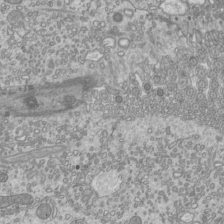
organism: Mouse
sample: Cilia; mouse epididymis